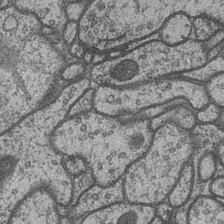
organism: Drosophila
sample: Optic medulla